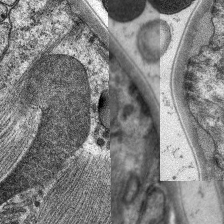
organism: C. elegans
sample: Pharynx